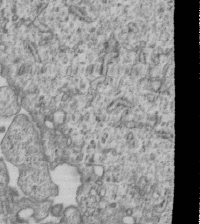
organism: Human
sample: MDA-MB-231 cells